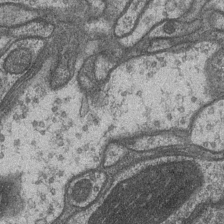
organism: Drosophila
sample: Optic medulla